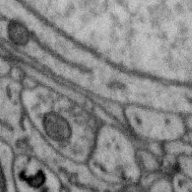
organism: Zebra finch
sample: Brain